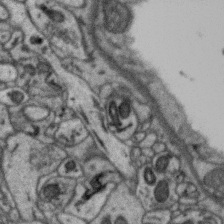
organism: Zebra finch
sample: Brain